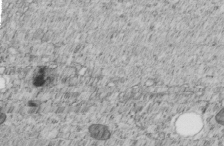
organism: C. elegans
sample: C. elegans embryo early stage